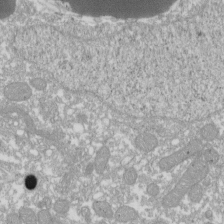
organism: Xenopus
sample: Cilia; centrioles in frog embryo cells